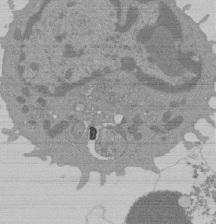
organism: Mouse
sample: Activated Pmel transgenic CD8+ T Cells